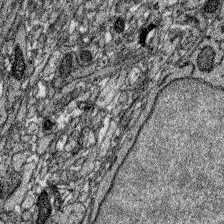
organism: Zebrafish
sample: Larval olfactory bulb